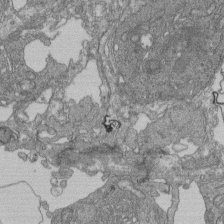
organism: Human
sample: Retinal organoid Rod and Cone cells